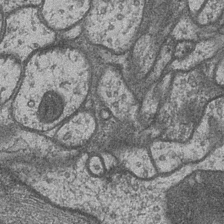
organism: Drosophila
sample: Optic medulla